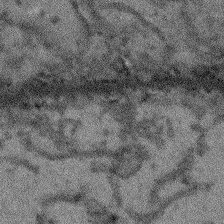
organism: Arabidopsis thaliana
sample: Root tip